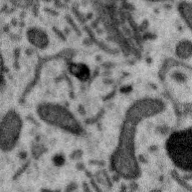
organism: Zebra finch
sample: Brain